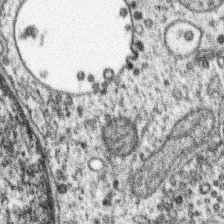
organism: Human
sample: HeLa cells